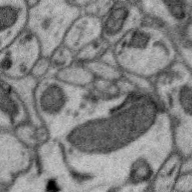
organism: Zebra finch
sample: Brain